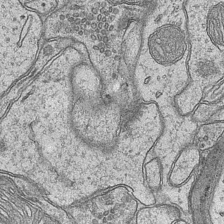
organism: Mouse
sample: CA1 Hippocampus